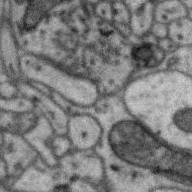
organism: Zebra finch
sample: Brain